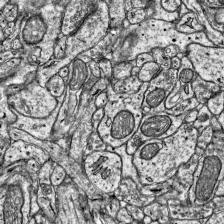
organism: Mouse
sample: Visual Cortex